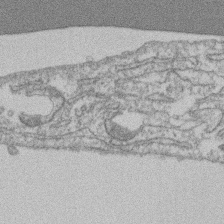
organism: Mouse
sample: T cell stromal cell synapse